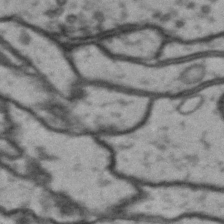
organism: Drosophila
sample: Brain